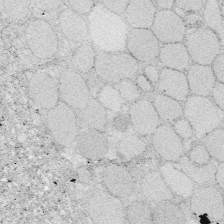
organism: Zebrafish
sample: Whole-Brain